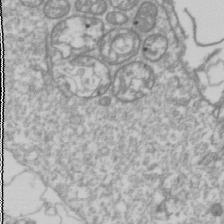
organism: Drosophila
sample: Cell division; meiosis; drosophila spermatocytes